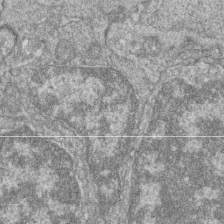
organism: Zebrafish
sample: Cilia; retinal pigment epithelium